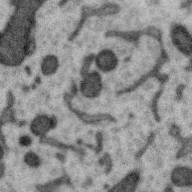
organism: Zebra finch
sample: Brain